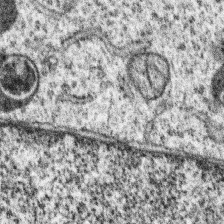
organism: Human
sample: HeLa cells